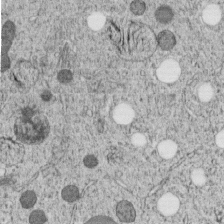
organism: C. elegans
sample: C. elegans embryo early stage